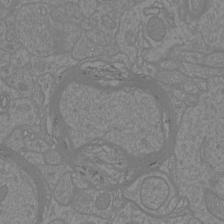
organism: Mouse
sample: Cortical neurons